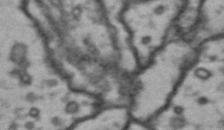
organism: Drosophila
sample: Brain